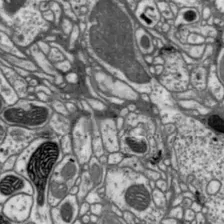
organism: Drosophila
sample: Protocerebral bridge